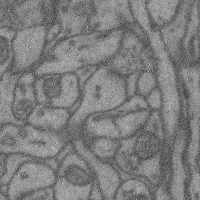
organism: Mouse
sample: Cerebral cortex